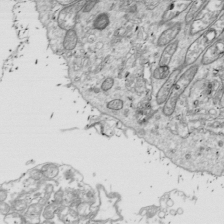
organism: Drosophila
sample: Cell division; meiosis; drosophila spermatocytes